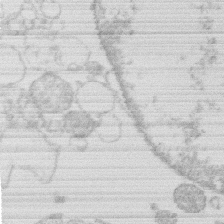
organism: Human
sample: Macrophage cells